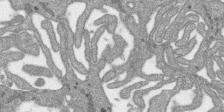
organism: Human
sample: Lung epithelial cells infected with SARS-CoV-2